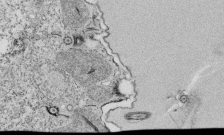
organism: Tetrahymena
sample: Cilia in tetrahymena